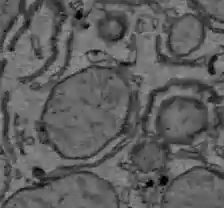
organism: C57BL Mouse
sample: Liver